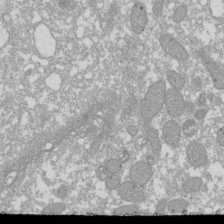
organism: Xenopus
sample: Cilia; centrioles in frog embryo cells